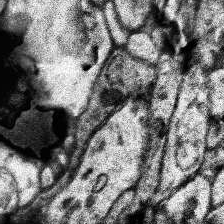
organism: Human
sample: Temporal Lobe